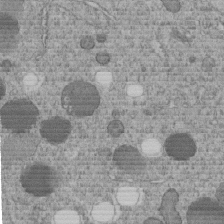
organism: C. elegans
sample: C. elegans embryo early stage